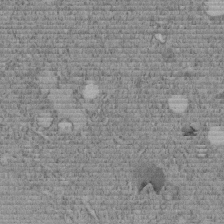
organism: C. elegans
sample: C. elegans embryo early stage